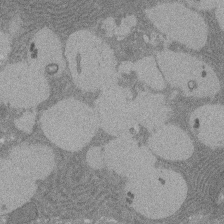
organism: Rat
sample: Salivary granule